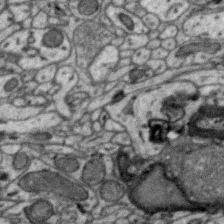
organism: Zebra finch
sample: Brain